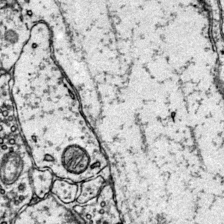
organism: Mouse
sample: Primary visual cortex